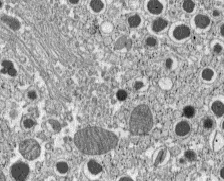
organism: C57BL Mouse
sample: Pancreatic islet